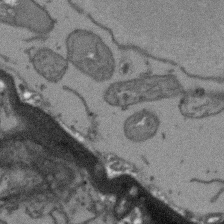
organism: Arabidopsis thaliana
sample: Root tip